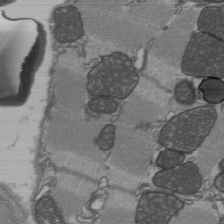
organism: C57BL Mouse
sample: Heart